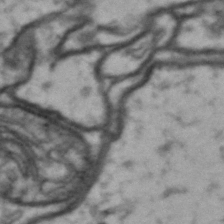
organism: Drosophila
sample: Brain